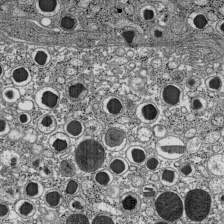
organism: C57BL Mouse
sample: Pancreatic islet